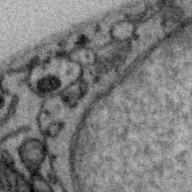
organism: Zebra finch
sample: Brain